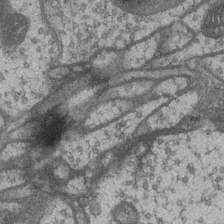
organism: Drosophila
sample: Optic medulla